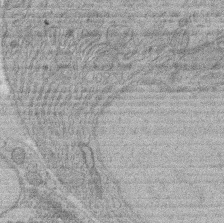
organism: Rat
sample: Salivary granule